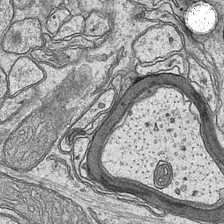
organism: Mouse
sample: CA1 Hippocampus